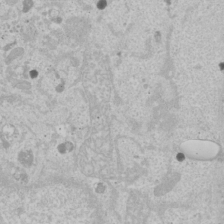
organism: Human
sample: Mitochondria in U2OS cells